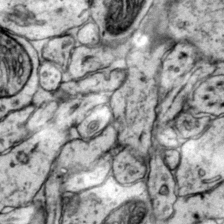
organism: Mouse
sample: Primary visual cortex